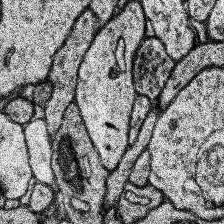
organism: Human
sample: Temporal Lobe